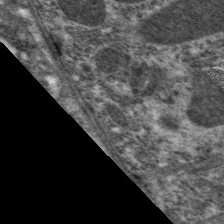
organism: C. elegans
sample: Pharynx